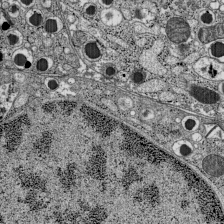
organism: C57BL Mouse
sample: Pancreatic islet